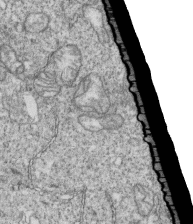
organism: Human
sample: HeLa cell HIV synapse